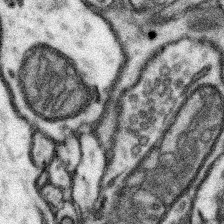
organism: Mouse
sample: Somatosensory cortex neuropil